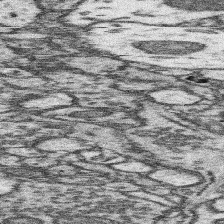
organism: Mouse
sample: Somatosensory cortex neuropil